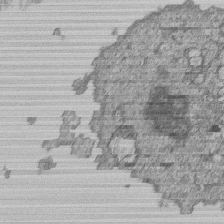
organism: Human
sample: MDA-MB-231 cells